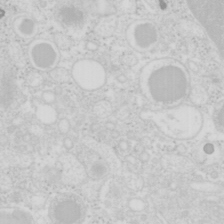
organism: Mouse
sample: Pancreas